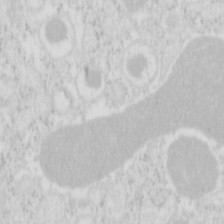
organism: Mouse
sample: Pancreas